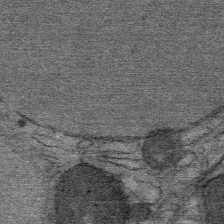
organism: Mouse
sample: Mouse Salivary gland